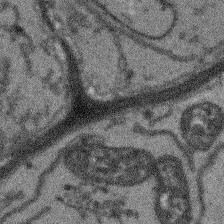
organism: Arabidopsis thaliana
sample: Root tip